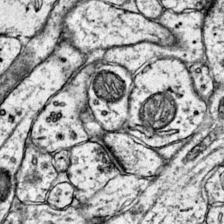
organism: Mouse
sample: Primary visual cortex